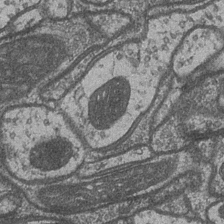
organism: Drosophila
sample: Optic medulla